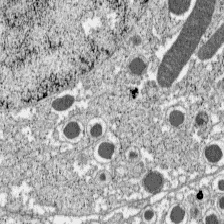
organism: C57BL Mouse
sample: Pancreatic islet